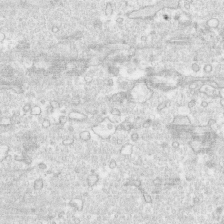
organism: Human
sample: CRL-1474